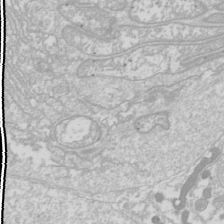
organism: Drosophila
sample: Cell division; meiosis; drosophila spermatocytes